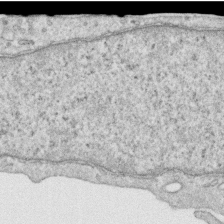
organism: Human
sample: Centriole in RPE cells